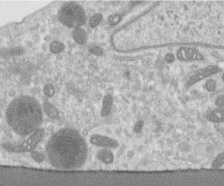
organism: Human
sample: Centriole in RPE cells